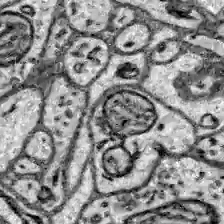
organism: Zebrafish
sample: Brain